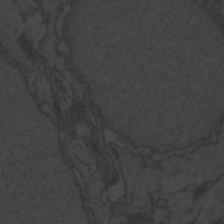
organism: Zebrafish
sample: Macrophage infected with Toxoplasma gondii